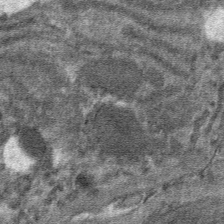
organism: Mouse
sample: Mouse hepatocytes